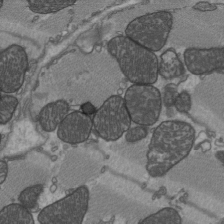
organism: C57BL Mouse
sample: Heart